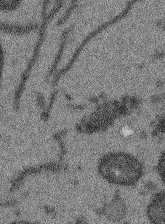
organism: Arabidopsis thaliana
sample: Root tip